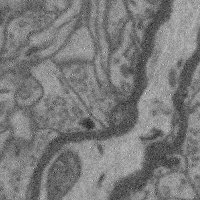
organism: Mouse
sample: Cerebral cortex